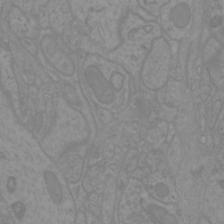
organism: Mouse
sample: Cortical neurons